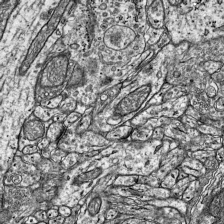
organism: Mouse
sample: Visual Cortex